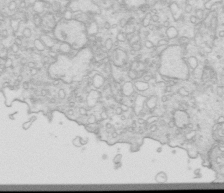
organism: Mouse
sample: Multiciliated cells